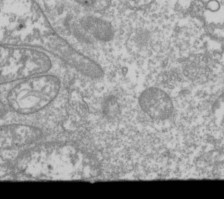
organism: Drosophila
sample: Cell division; meiosis; drosophila spermatocytes